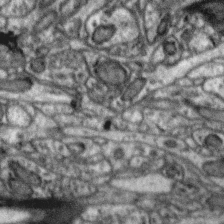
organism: Zebra finch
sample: Brain